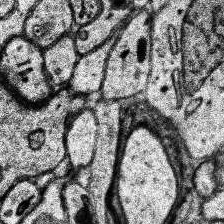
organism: Human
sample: Temporal Lobe